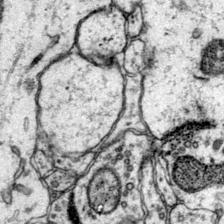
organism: Mouse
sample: Primary visual cortex